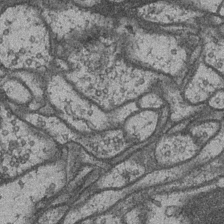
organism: Drosophila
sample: Optic medulla